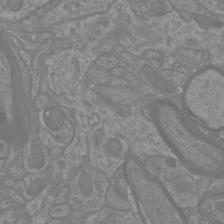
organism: Mouse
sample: Cortical neurons